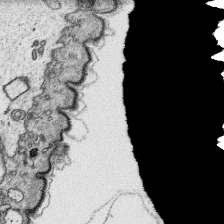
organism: Platynereis dumerilii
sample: Parapodia